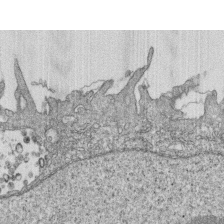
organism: Human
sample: HeLa cell HIV synapse